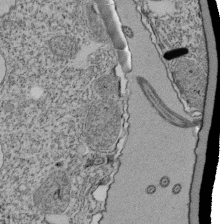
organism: Tetrahymena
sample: Cilia in tetrahymena